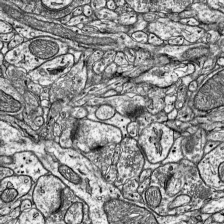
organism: Mouse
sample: Visual Cortex